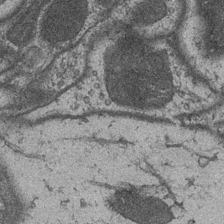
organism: Drosophila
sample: Optic medulla